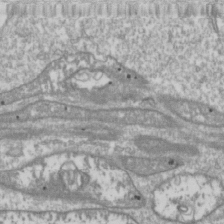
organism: Drosophila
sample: Cell division; meiosis; drosophila spermatocytes